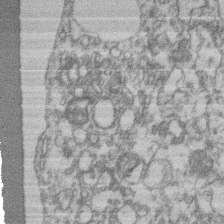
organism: Mouse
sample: T cell stromal cell synapse